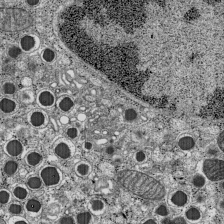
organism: C57BL Mouse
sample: Pancreatic islet